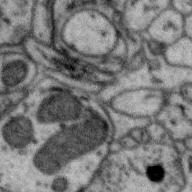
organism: Zebra finch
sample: Brain